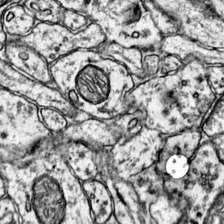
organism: Mouse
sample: Primary visual cortex